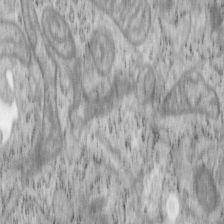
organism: Human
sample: HeLa cells